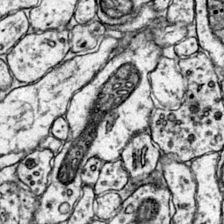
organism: Mouse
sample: Primary visual cortex